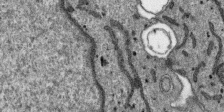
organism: Human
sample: Lung epithelial cells, uninfected (mock) control